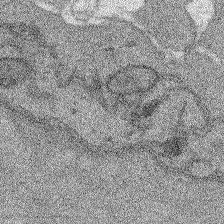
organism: Human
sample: HeLa cells